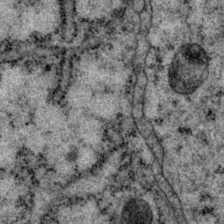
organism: P. pacificus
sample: Pharynx